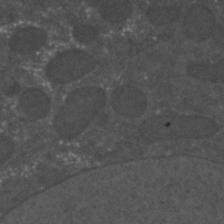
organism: C. elegans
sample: C. elegans embryo